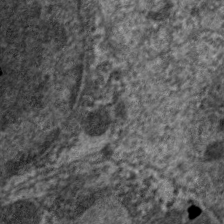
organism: C. elegans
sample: Pharynx